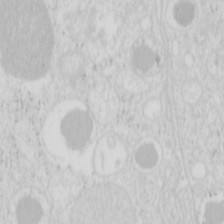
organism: Mouse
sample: Pancreas